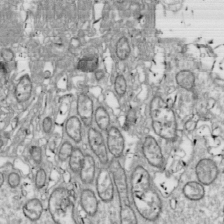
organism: Drosophila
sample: Cell division; meiosis; drosophila spermatocytes